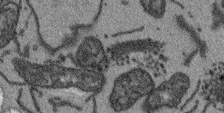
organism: Arabidopsis thaliana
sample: Root tip